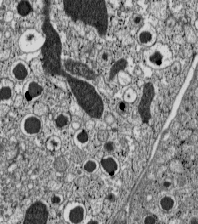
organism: C57BL Mouse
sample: Pancreatic islet